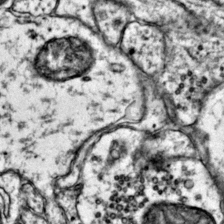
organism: Mouse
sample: Primary visual cortex